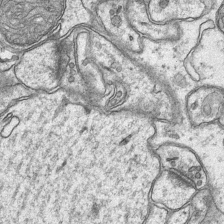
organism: Mouse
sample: CA1 Hippocampus